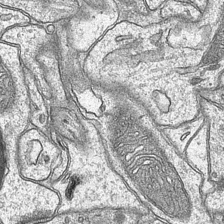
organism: Mouse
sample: CA1 Hippocampus